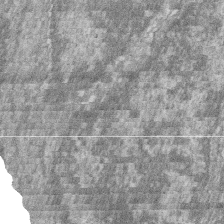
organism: Zebrafish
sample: Cilia; retinal pigment epithelium